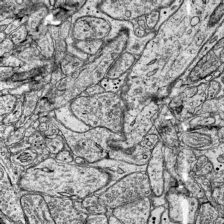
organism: Mouse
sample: Visual Cortex